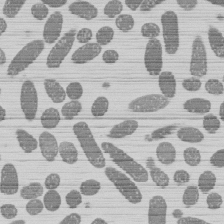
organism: E. coli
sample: Bacterial nucleoid